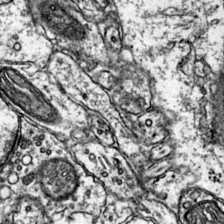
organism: Mouse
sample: Primary visual cortex